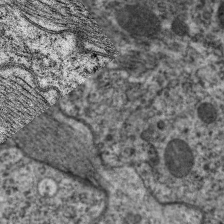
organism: C. elegans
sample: Pharynx